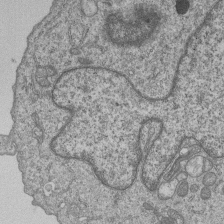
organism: Human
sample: MDA-MB-231 cells